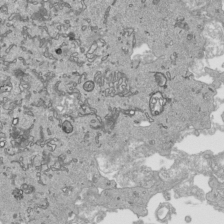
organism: Human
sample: Mitochondria in HCT116 cells